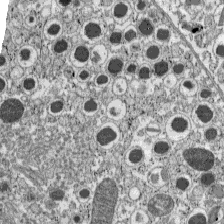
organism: C57BL Mouse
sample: Pancreatic islet